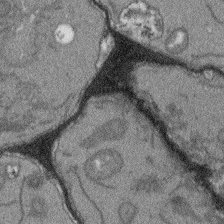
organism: Arabidopsis thaliana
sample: Root tip